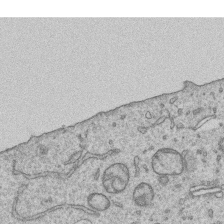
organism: Human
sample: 1205lu cells